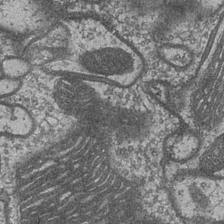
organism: Drosophila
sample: Optic medulla